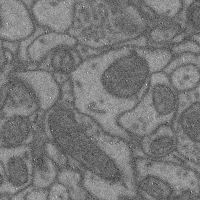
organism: Mouse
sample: Cerebral cortex